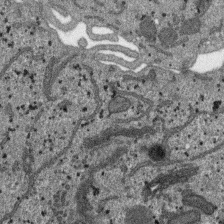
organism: Human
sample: Lung epithelial cells infected with SARS-CoV-2